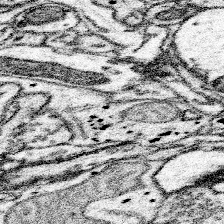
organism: Mouse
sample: Somatosensory cortex neuropil